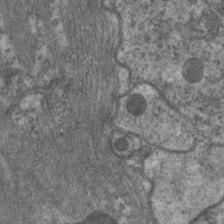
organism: C. elegans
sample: Pharynx